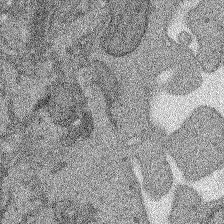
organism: Human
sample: HeLa cells